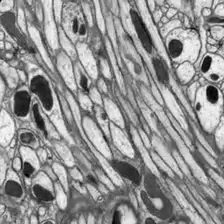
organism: Drosophila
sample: Optic lobe